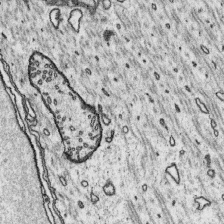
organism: Platynereis dumerilii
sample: Parapodia